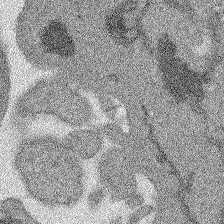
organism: Human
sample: HeLa cells